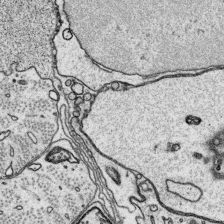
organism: Platynereis dumerilii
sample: Parapodia